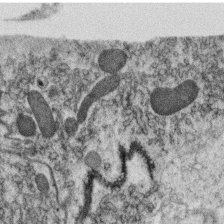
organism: C. elegans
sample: C. elegans oocyte; sperm cells